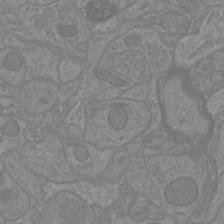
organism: Mouse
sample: Cortical neurons